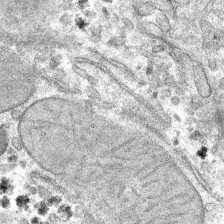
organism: Mouse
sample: Mouse hepatocytes